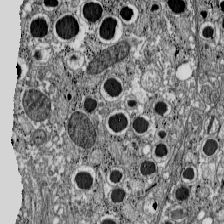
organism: C57BL Mouse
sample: Pancreatic islet